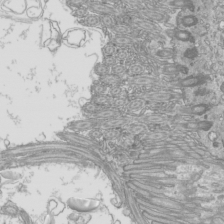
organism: Mouse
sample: Cilia; mouse epididymis